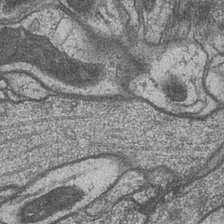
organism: Drosophila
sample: Optic medulla